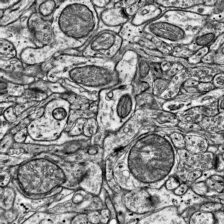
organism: Mouse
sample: Visual Cortex